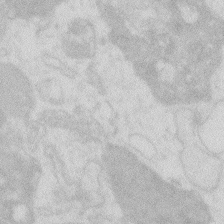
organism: Zebrafish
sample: Macrophage